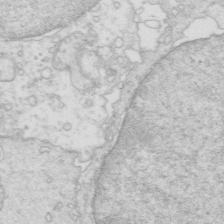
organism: Mouse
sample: Multiciliated cells